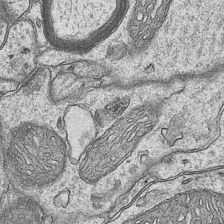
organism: Mouse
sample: CA1 Hippocampus